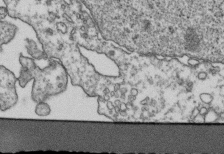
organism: Human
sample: Activated Jurkat CD4+ T cells